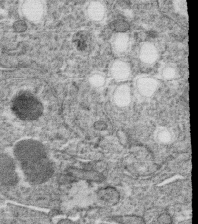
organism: C. elegans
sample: C. elegans oocyte; sperm cells